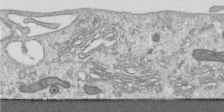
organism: Human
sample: Centriole in RPE cells